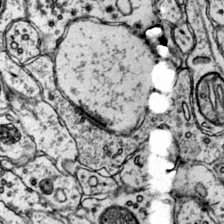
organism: Mouse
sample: Primary visual cortex